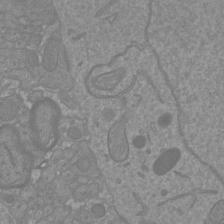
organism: Mouse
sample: Cortical neurons